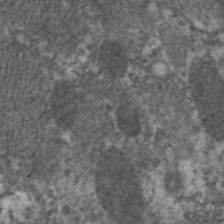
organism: C. elegans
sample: Pharynx